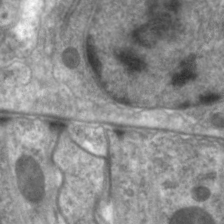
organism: C. elegans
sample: Pharynx